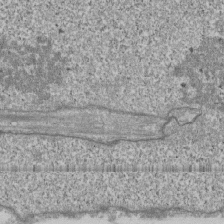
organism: Human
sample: Fibroblast cells